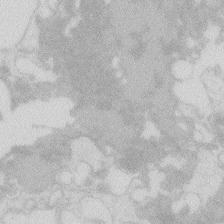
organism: Zebrafish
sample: Macrophage